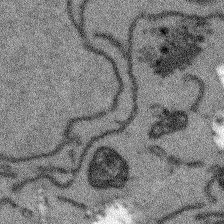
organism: Arabidopsis thaliana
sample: Root tip